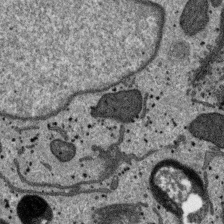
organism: Human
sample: Lung epithelial cells, uninfected (mock) control